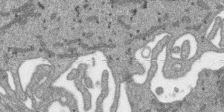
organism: Human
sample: Lung epithelial cells infected with SARS-CoV-2